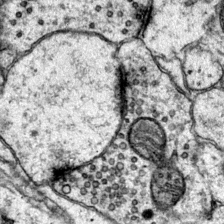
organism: Mouse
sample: Primary visual cortex